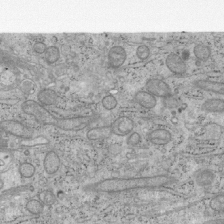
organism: Human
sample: HeLa cells